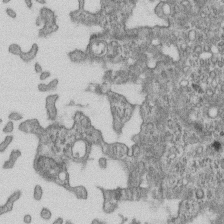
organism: Mouse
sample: Centriole in ependymal cells